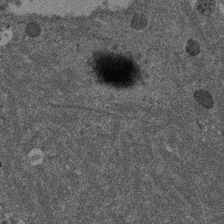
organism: Mouse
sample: Dividing mouse embryo 1 cell stage